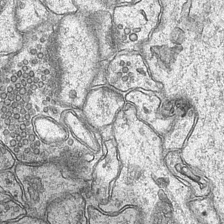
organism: Mouse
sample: CA1 Hippocampus